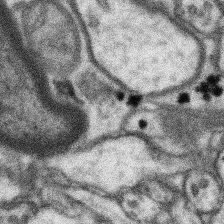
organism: Mouse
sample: Somatosensory cortex neuropil